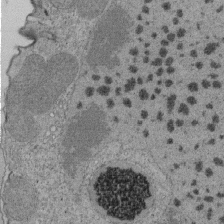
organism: Tetrahymena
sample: Cilia in tetrahymena